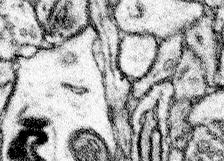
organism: Mouse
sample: Somatosensory cortex neuropil